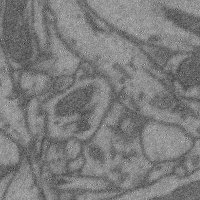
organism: Mouse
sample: Cerebral cortex